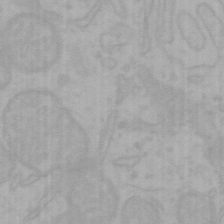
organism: Mouse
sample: Choroid plexus